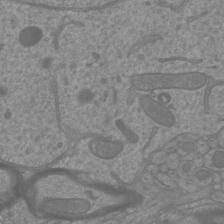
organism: Mouse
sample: Cortical neurons